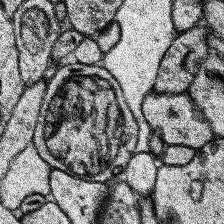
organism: Human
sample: Temporal Lobe